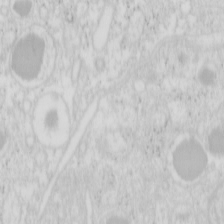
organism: Mouse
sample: Pancreas